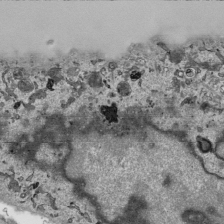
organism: Human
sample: Mitochondria in HCT116 cells